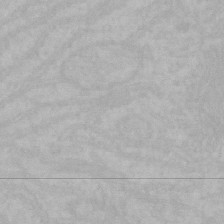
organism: Mouse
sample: Choroid plexus